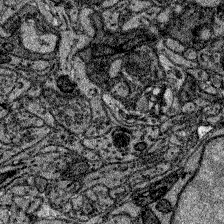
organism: Zebrafish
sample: Larval olfactory bulb